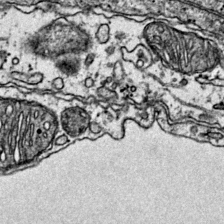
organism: Mouse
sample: Primary visual cortex